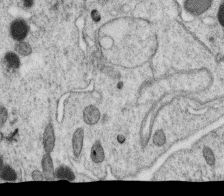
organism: C. elegans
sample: C. elegans oocyte; sperm cells